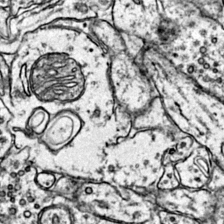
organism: Mouse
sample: Primary visual cortex